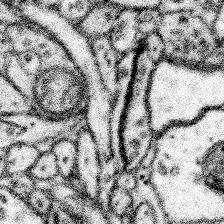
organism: Mouse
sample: Somatosensory cortex neuropil